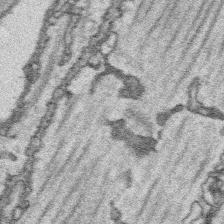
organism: Platynereis dumerilii